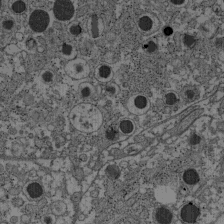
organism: C57BL Mouse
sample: Pancreatic islet